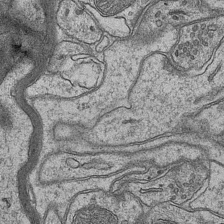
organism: Mouse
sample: CA1 Hippocampus